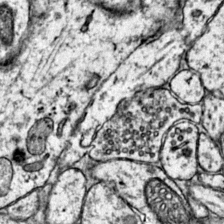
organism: Mouse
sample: Primary visual cortex